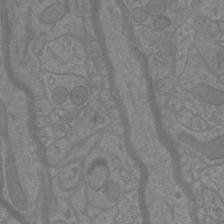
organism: Mouse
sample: Cortical neurons